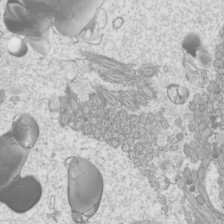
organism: Mouse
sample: Cilia; mouse epididymis